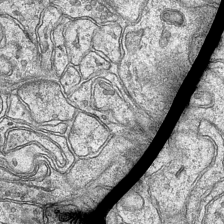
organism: Mouse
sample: CA1 Hippocampus